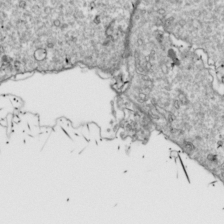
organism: Drosophila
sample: Cell division; meiosis; drosophila spermatocytes